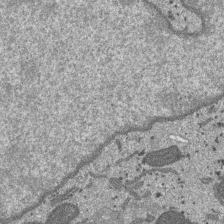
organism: Human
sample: Lung epithelial cells infected with SARS-CoV-2